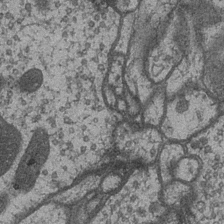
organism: Drosophila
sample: Optic medulla